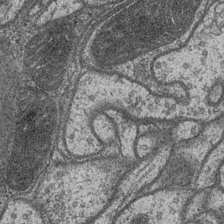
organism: Drosophila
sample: Optic medulla